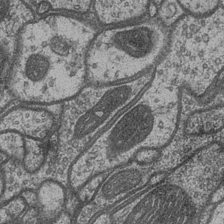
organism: Drosophila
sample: Optic medulla